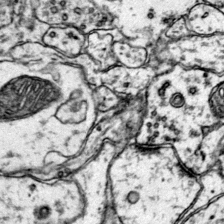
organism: Mouse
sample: Primary visual cortex